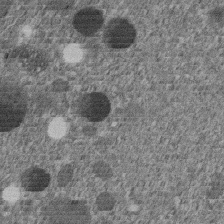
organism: C. elegans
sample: C. elegans embryo early stage